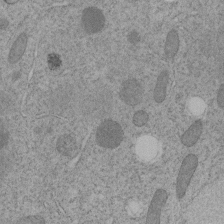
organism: C. elegans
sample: C. elegans embryo early stage